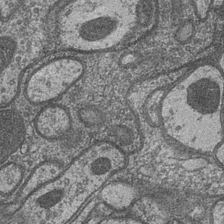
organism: Drosophila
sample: Optic medulla